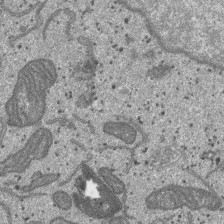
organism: Human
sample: Lung epithelial cells infected with SARS-CoV-2